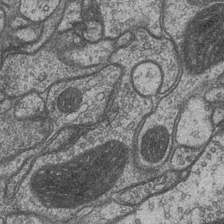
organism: Drosophila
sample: Optic medulla